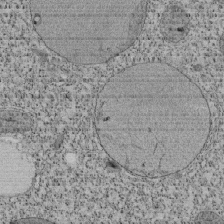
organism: Tetrahymena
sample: Cilia in tetrahymena